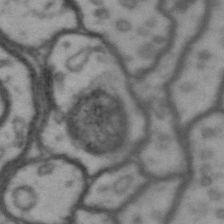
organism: Drosophila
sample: Brain